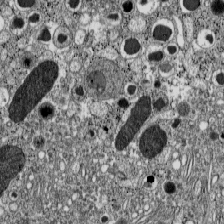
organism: C57BL Mouse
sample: Pancreatic islet